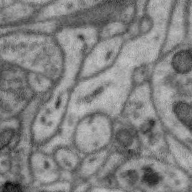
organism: Zebra finch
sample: Brain